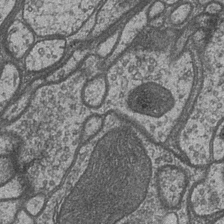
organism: Drosophila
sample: Optic medulla